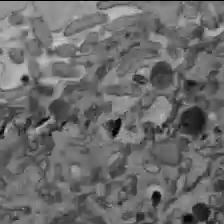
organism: C57BL Mouse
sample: Liver